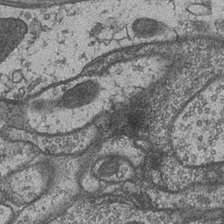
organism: Drosophila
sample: Optic medulla